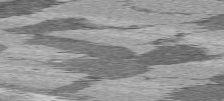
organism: C57BL Mouse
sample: Heart